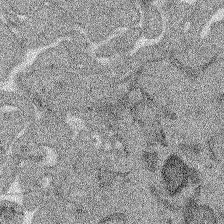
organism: Human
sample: HeLa cells